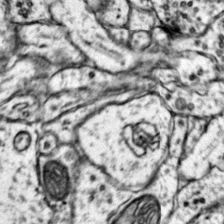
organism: Mouse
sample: Primary visual cortex